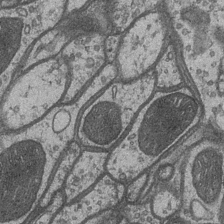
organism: Drosophila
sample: Optic medulla